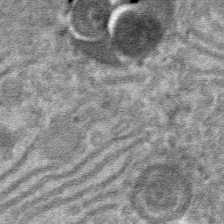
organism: Mouse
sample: Mouse hepatocytes